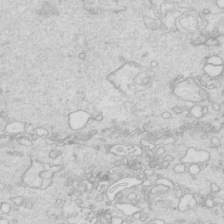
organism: Mouse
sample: Multiciliated cells